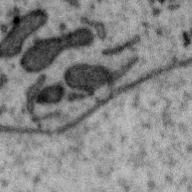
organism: Zebra finch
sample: Brain